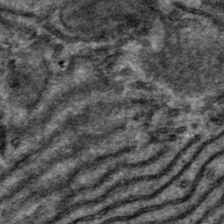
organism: Mouse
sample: Mouse hepatocytes